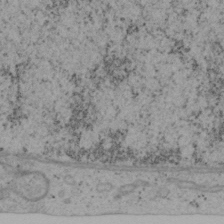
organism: Human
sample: HeLa cells